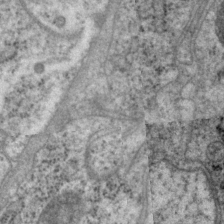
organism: P. pacificus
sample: Pharynx